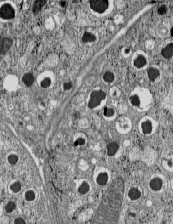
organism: C57BL Mouse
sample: Pancreatic islet